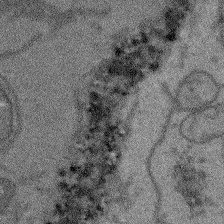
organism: Arabidopsis thaliana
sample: Root tip